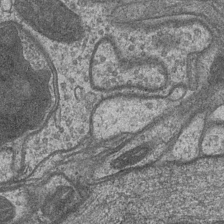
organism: Drosophila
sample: Optic medulla